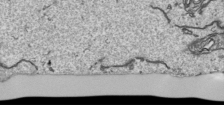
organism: Human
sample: Mitochondria in HCT116 cells